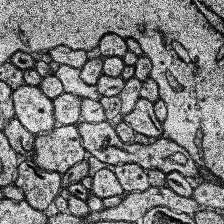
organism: Human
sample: Temporal Lobe